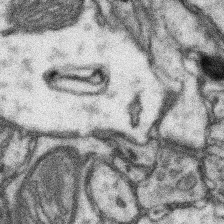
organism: Mouse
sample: Somatosensory cortex neuropil